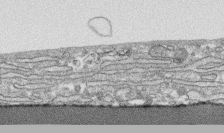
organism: Human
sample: CRL-1474